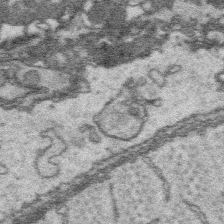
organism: Platynereis dumerilii